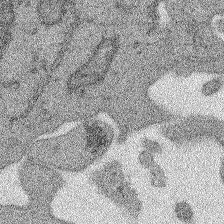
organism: Human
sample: HeLa cells